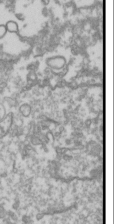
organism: Drosophila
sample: Cell division; meiosis; drosophila spermatocytes